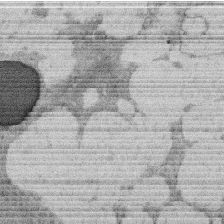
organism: Rat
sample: Salivary granule